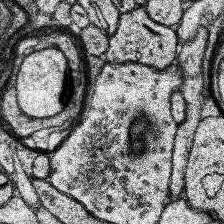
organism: Human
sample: Temporal Lobe